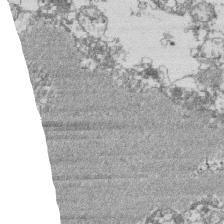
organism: Human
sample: HeLa cell HIV synapse